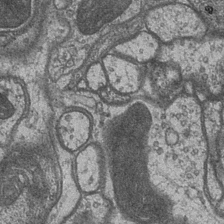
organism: Drosophila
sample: Optic medulla